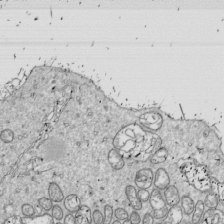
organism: Drosophila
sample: Cell division; meiosis; drosophila spermatocytes